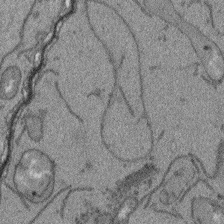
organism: Arabidopsis thaliana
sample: Root tip